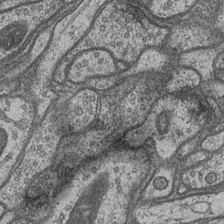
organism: Drosophila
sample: Optic medulla